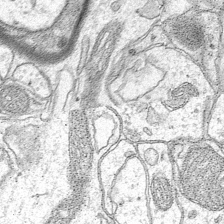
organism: Mouse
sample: CA1 Hippocampus